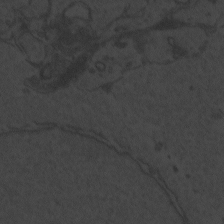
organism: Zebrafish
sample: Macrophage infected with Toxoplasma gondii